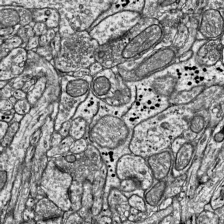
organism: Mouse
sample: Visual Cortex